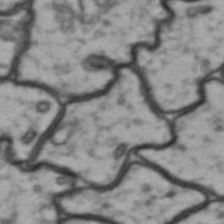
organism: Drosophila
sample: Brain